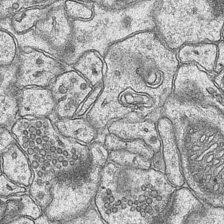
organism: Mouse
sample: CA1 Hippocampus